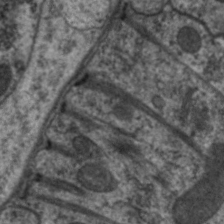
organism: C. elegans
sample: Pharynx